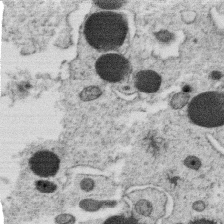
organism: C. elegans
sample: C. elegans oocyte; sperm cells